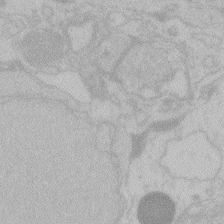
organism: Zebrafish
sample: Macrophage infected with Toxoplasma gondii